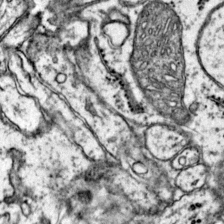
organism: Mouse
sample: Primary visual cortex